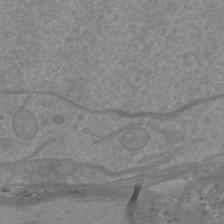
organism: Mouse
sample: Cortical neurons